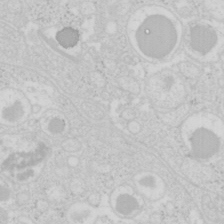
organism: Mouse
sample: Pancreas